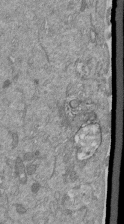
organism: Mouse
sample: ED-1 cell nuclei; centrioles